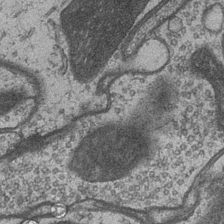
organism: Drosophila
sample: Optic medulla